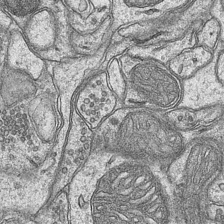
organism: Mouse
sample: CA1 Hippocampus